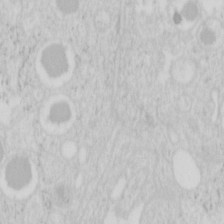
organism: Mouse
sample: Pancreas